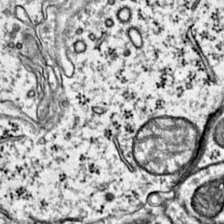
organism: Mouse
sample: Primary visual cortex